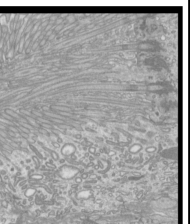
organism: Mouse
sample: Cilia; mouse epididymis